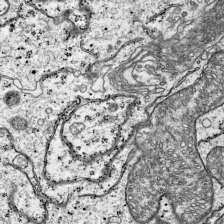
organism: Mouse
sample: Visual Cortex